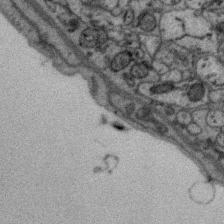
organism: Zebra finch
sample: Brain